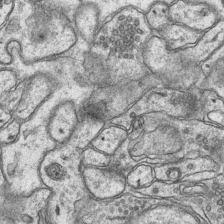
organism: Mouse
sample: CA1 Hippocampus